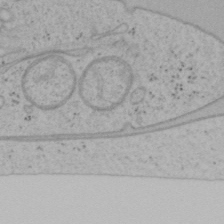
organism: Human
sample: HeLa cells